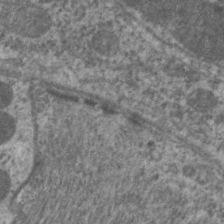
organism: C. elegans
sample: Pharynx